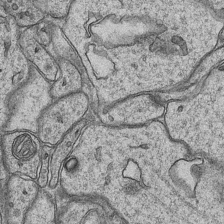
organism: Mouse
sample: CA1 Hippocampus